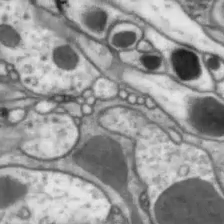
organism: Drosophila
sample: Optic lobe